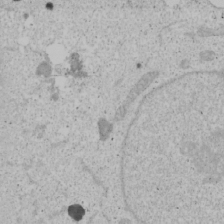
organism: Human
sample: Mitochondria in U2OS cells